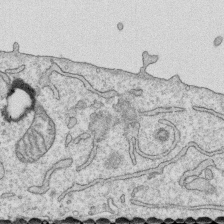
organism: Human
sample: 1205lu cells